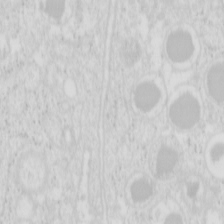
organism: Mouse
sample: Pancreas